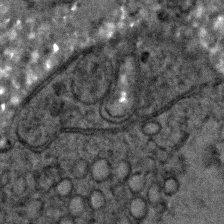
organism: C. elegans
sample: C. elegans embryo